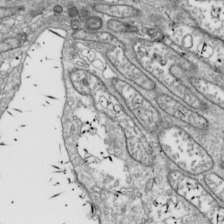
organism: Drosophila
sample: Cell division; meiosis; drosophila spermatocytes